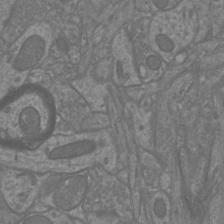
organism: Mouse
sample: Cortical neurons